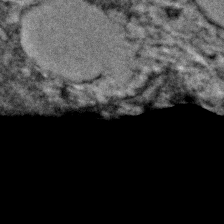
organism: C. elegans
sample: C. elegans embryo